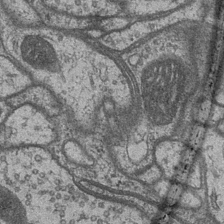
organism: Drosophila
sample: Optic medulla